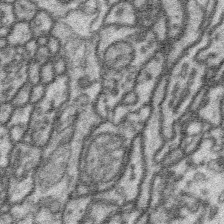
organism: Platynereis dumerilii